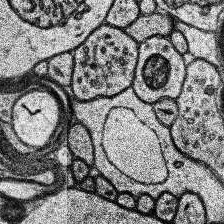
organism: Human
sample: Temporal Lobe